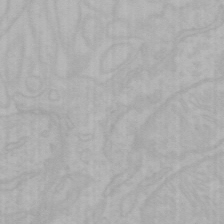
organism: Mouse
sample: Choroid plexus